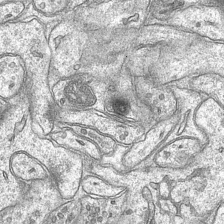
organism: Mouse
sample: CA1 Hippocampus